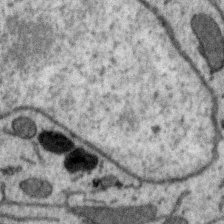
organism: Zebra finch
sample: Brain